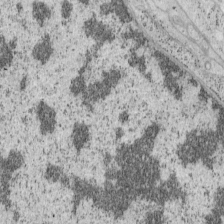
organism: Mouse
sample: OT-I killer T cells with ID8 ovarian cancer cells